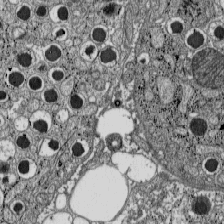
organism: C57BL Mouse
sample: Pancreatic islet